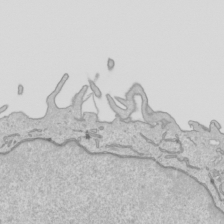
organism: Human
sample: Mitochondria in HCT116 cells